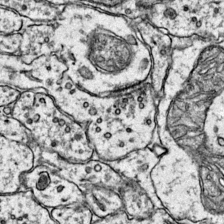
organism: Mouse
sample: Primary visual cortex